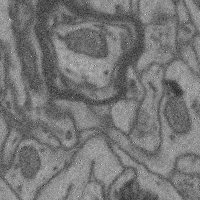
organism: Mouse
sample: Cerebral cortex